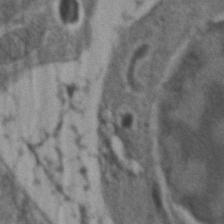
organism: Zebrafish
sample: Zebrafish embryo